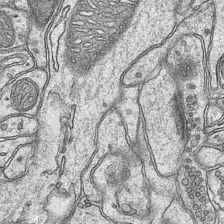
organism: Mouse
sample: CA1 Hippocampus